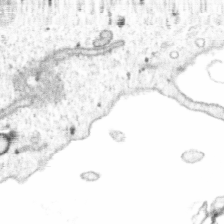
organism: Human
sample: HeLa cells